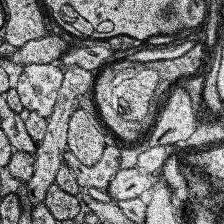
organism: Human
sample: Temporal Lobe